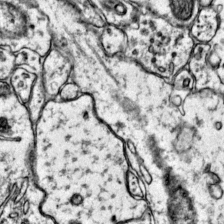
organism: Mouse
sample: Primary visual cortex